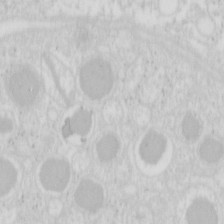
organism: Mouse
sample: Pancreas